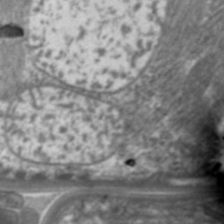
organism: C. elegans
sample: Pharynx